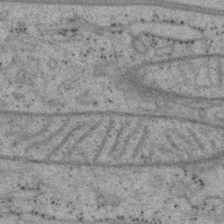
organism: Human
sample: HeLa cells